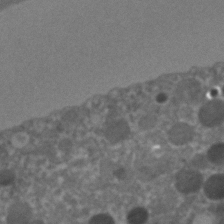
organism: C. elegans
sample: C. elegans embryo